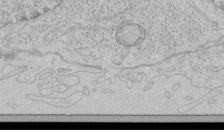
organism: Human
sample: Mitochondria in HCT116 cells